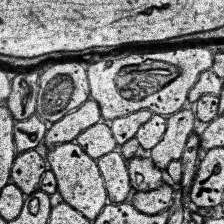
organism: Human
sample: Temporal Lobe